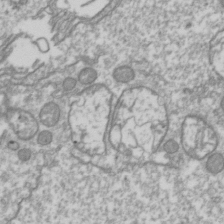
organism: Drosophila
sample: Cell division; meiosis; drosophila spermatocytes